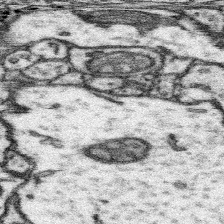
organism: Mouse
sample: Somatosensory cortex neuropil